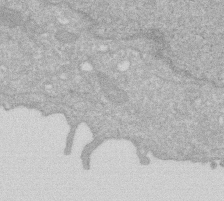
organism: Human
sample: HIV infected U937 cells